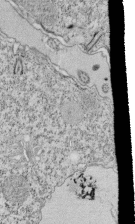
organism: Tetrahymena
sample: Cilia in tetrahymena